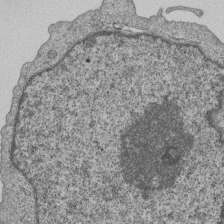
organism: Human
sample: MDA-MB-231 cells